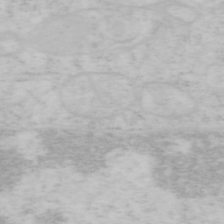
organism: Mouse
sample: OT-I killer T cells with ID8 ovarian cancer cells